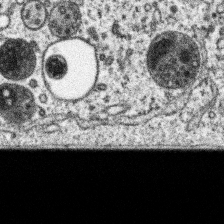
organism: Human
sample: HeLa cells